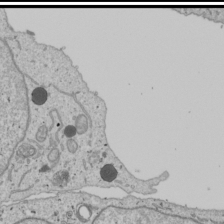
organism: Human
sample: Mitochondria in U2OS cells